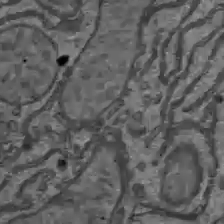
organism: C57BL Mouse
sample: Liver